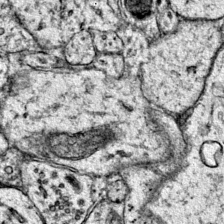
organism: Mouse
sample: Primary visual cortex